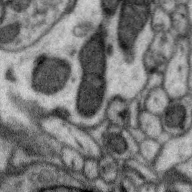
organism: Zebra finch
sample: Brain